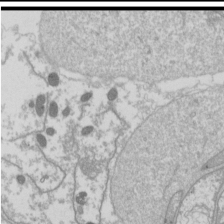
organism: Drosophila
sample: Cell division; meiosis; drosophila spermatocytes